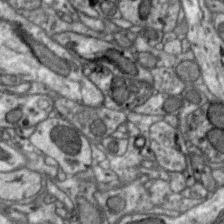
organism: Zebra finch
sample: Brain